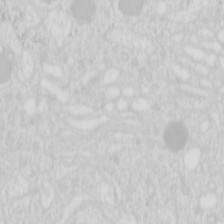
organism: Mouse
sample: Pancreas